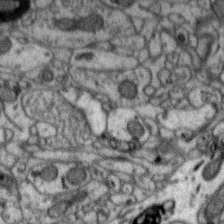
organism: Zebra finch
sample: Brain